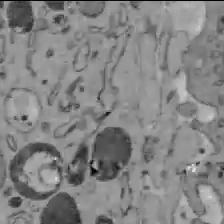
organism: C57BL Mouse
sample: Liver